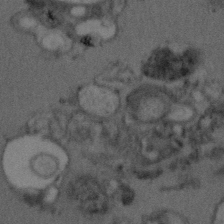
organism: Human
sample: HeLa cells